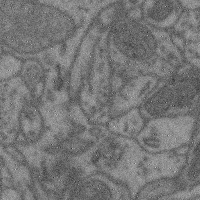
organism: Mouse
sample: Cerebral cortex